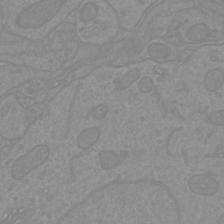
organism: Mouse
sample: Cortical neurons